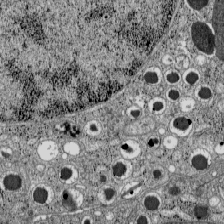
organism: C57BL Mouse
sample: Pancreatic islet